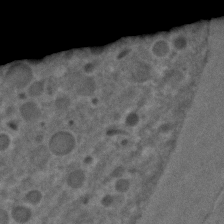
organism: C. elegans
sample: C. elegans embryo